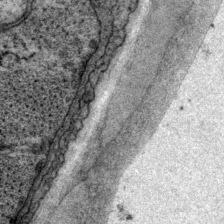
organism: P. pacificus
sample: Pharynx